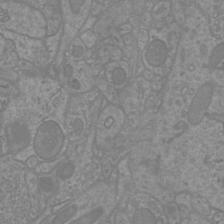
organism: Mouse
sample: Cortical neurons